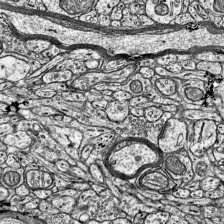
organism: Mouse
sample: Visual Cortex